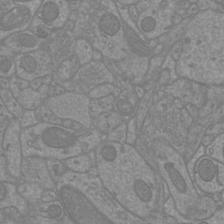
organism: Mouse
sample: Cortical neurons